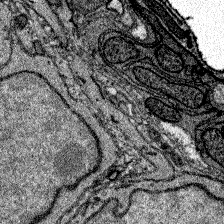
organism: Zebrafish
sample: Larval olfactory bulb